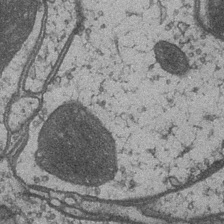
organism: Drosophila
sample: Optic medulla